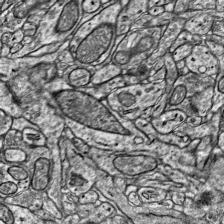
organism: Mouse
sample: Visual Cortex